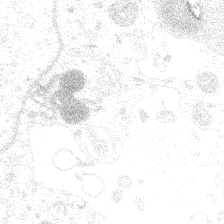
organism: Spongilla lacustris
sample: Multiple